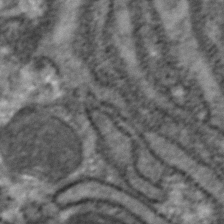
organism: Zebrafish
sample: Zebrafish embryo